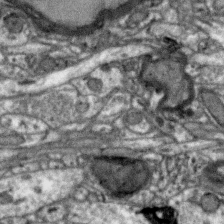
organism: Zebra finch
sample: Brain